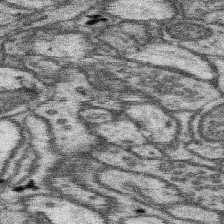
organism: Mouse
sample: Somatosensory cortex neuropil